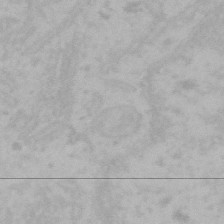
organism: Mouse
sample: Choroid plexus